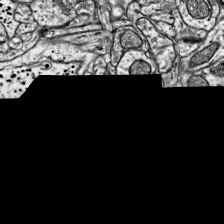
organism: Mouse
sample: Visual Cortex